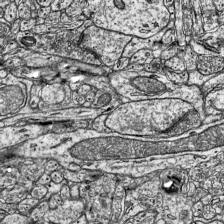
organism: Mouse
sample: Visual Cortex